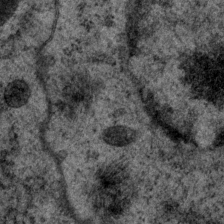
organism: P. pacificus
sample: Pharynx